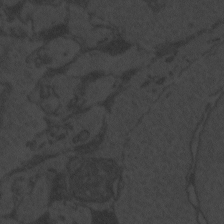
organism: Zebrafish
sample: Macrophage infected with Toxoplasma gondii